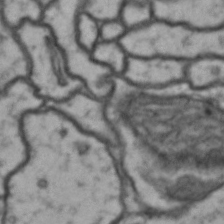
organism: Drosophila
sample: Brain